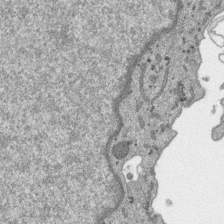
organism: Human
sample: Lung epithelial cells infected with SARS-CoV-2